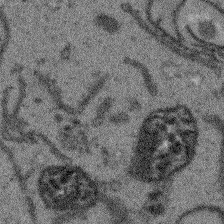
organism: Arabidopsis thaliana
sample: Root tip